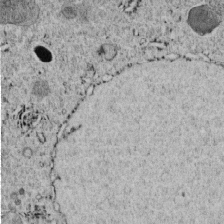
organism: C. elegans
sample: C. elegans embryo early stage